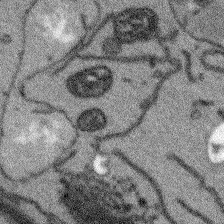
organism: Arabidopsis thaliana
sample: Root tip